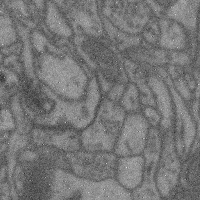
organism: Mouse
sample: Cerebral cortex